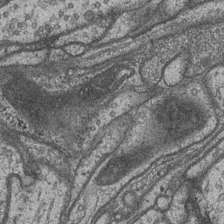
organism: Drosophila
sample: Optic medulla